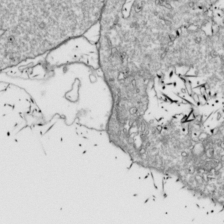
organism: Drosophila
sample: Cell division; meiosis; drosophila spermatocytes